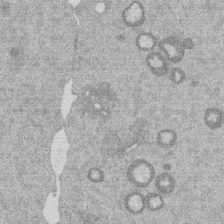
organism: Mouse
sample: Dividing mouse embryo 1 cell stage